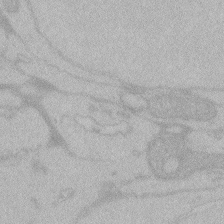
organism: Zebrafish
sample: Macrophage infected with Toxoplasma gondii